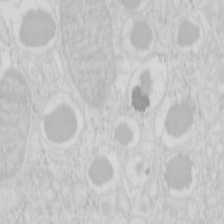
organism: Mouse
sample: Pancreas